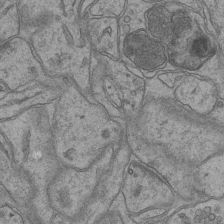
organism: Mouse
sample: CA1 Hippocampus